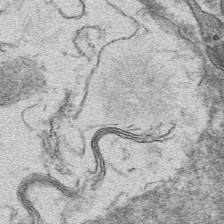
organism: Mouse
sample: Mouse hepatocytes